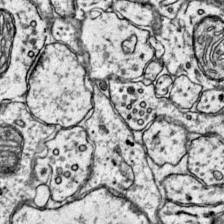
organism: Mouse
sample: Primary visual cortex